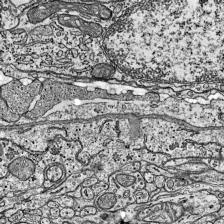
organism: Mouse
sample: Visual Cortex